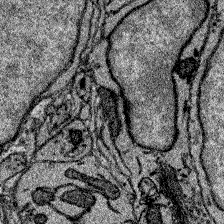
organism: Zebrafish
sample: Larval olfactory bulb